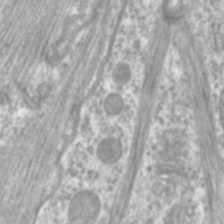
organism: C. elegans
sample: Pharynx